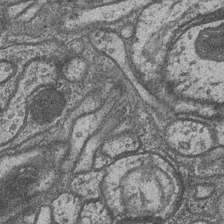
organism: Drosophila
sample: Optic medulla